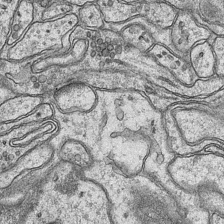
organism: Mouse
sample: CA1 Hippocampus